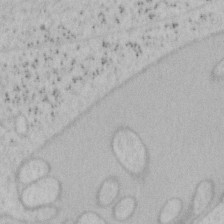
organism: Human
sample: HeLa cells